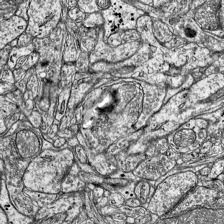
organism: Mouse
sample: Visual Cortex